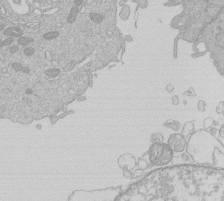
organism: Human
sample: Macrophage cells